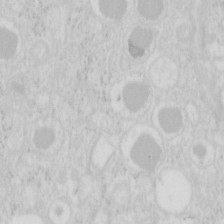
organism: Mouse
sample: Pancreas